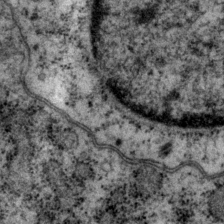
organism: P. pacificus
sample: Pharynx